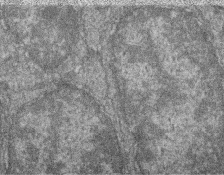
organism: Zebrafish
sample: Cilia; retinal pigment epithelium